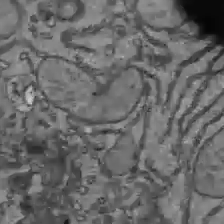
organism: C57BL Mouse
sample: Liver